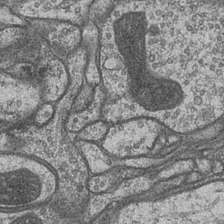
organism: Drosophila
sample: Optic medulla